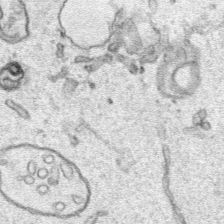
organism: Human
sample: Mitochondria in HCT116 cells